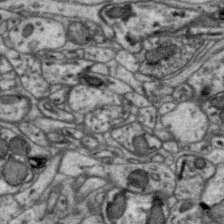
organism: Zebra finch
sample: Brain